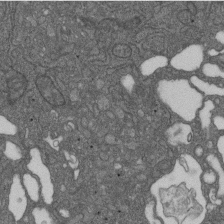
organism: Drosophila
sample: Nephrocyte